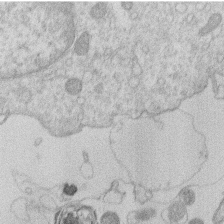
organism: Human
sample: Macrophage cells